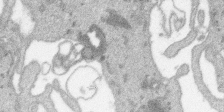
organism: Human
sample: Lung epithelial cells infected with SARS-CoV-2